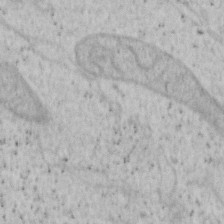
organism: Human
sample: HeLa cells